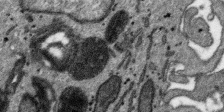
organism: Human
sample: Lung epithelial cells, uninfected (mock) control